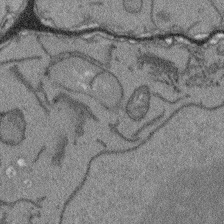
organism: Arabidopsis thaliana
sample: Root tip